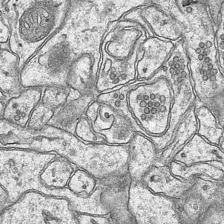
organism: Mouse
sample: CA1 Hippocampus